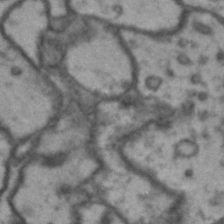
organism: Drosophila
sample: Brain